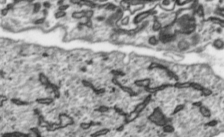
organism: Toxoplasma gondii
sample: Parasites in a vacuole inside a host cell